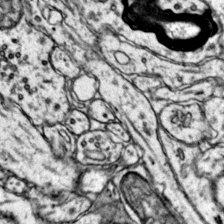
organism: Mouse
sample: Primary visual cortex